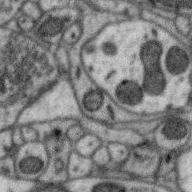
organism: Zebra finch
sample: Brain